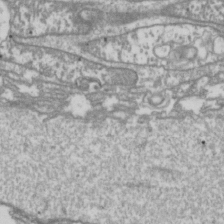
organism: Drosophila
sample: Cell division; meiosis; drosophila spermatocytes